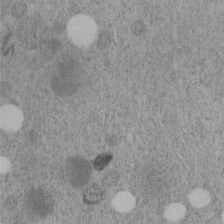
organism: C. elegans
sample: C. elegans embryo early stage